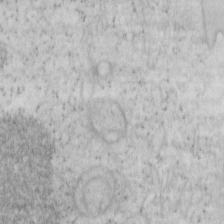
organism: Human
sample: HeLa cells